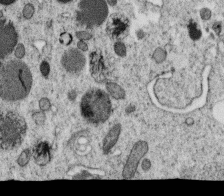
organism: C. elegans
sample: C. elegans oocyte; sperm cells